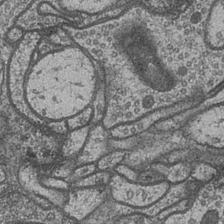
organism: Drosophila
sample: Optic medulla